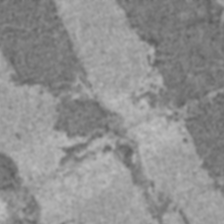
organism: C57BL Mouse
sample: Heart